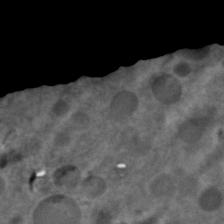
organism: C. elegans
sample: C. elegans embryo